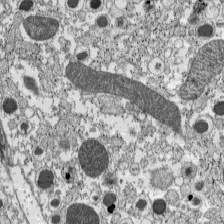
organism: C57BL Mouse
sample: Pancreatic islet